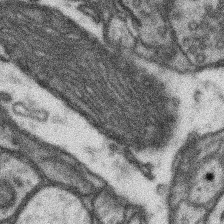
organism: Mouse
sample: Somatosensory cortex neuropil